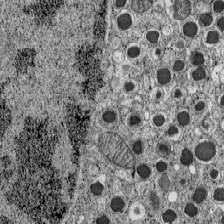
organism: C57BL Mouse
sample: Pancreatic islet